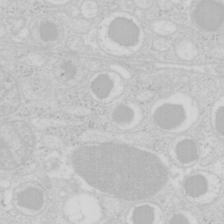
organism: Mouse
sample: Pancreas